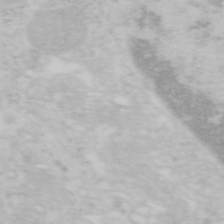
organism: Mouse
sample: OT-I killer T cells with ID8 ovarian cancer cells